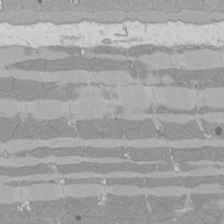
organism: Rat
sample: Left ventricle